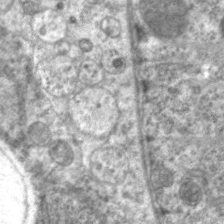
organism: C. elegans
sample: Pharynx